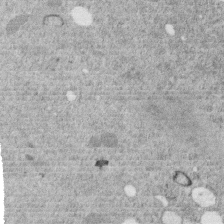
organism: C. elegans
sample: C. elegans embryo early stage